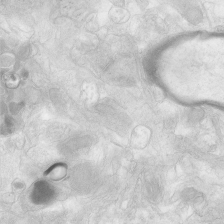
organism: Human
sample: Neocortex